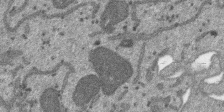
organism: Human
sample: Lung epithelial cells infected with SARS-CoV-2